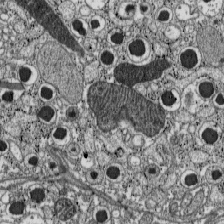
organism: C57BL Mouse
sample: Pancreatic islet